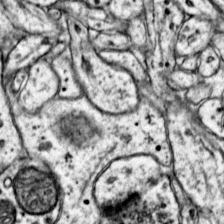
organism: Mouse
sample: Primary visual cortex